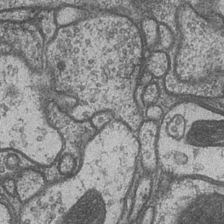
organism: Drosophila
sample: Optic medulla